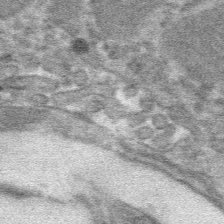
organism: Mouse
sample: Mouse hepatocytes